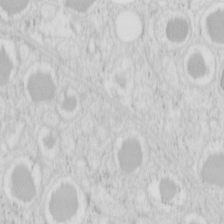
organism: Mouse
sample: Pancreas